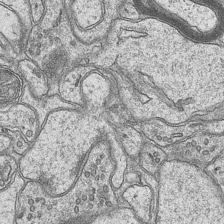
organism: Mouse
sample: CA1 Hippocampus